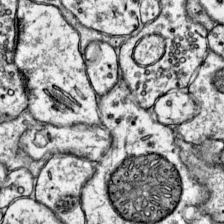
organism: Mouse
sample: Primary visual cortex